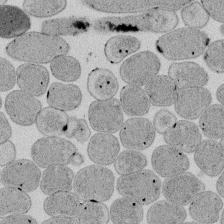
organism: E. coli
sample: Bacterial nucleoid